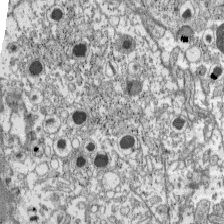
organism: C57BL Mouse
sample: Pancreatic islet